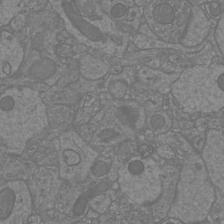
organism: Mouse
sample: Cortical neurons